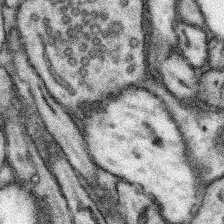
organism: Mouse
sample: Somatosensory cortex neuropil